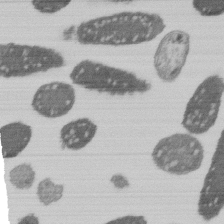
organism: E. coli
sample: Bacterial nucleoid